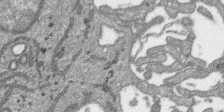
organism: Human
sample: Lung epithelial cells infected with SARS-CoV-2